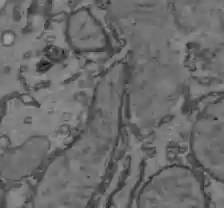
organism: C57BL Mouse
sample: Liver